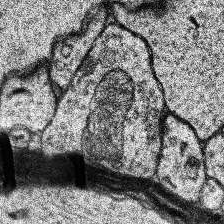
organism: Human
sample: Temporal Lobe